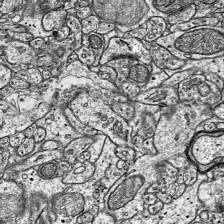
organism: Mouse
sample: Visual Cortex